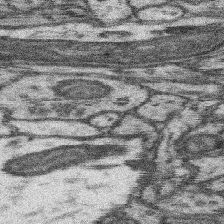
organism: Mouse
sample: Somatosensory cortex neuropil